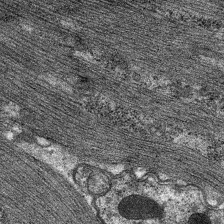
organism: C. elegans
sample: Pharynx